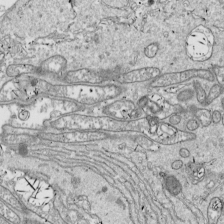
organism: Drosophila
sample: Cell division; meiosis; drosophila spermatocytes